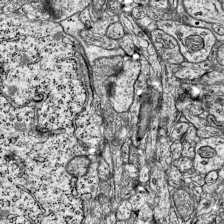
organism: Mouse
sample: Visual Cortex